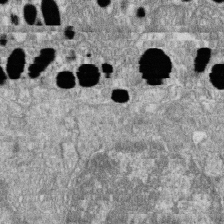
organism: Zebrafish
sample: Cilia; retinal pigment epithelium